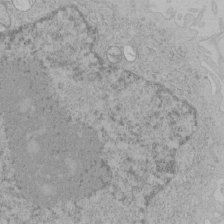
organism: Human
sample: Mitochondria in HCT116 cells